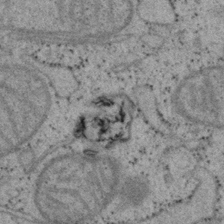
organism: Human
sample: HeLa cells